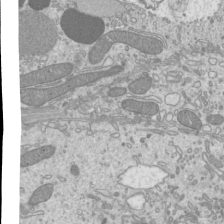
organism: Mouse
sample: Cilia; mouse epididymis